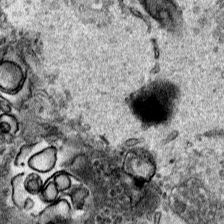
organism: Human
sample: Mitochondria in HCT116 cells